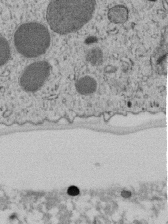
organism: C. elegans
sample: C. elegans embryo early stage